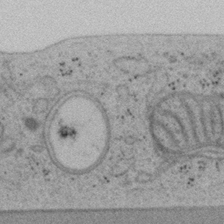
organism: Human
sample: HeLa cells